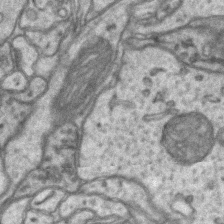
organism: Mouse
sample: CA1 Hippocampus